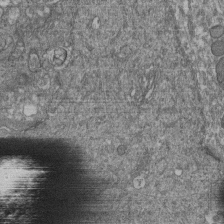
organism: Human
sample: Retinal organoid Rod and Cone cells